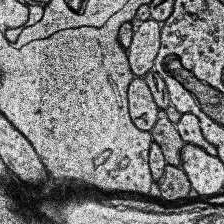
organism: Human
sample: Temporal Lobe